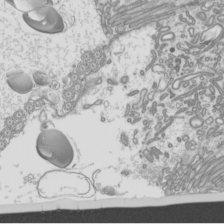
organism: Mouse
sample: Cilia; mouse epididymis